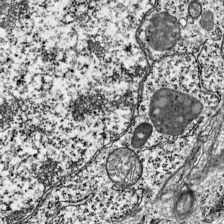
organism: Mouse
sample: Visual Cortex